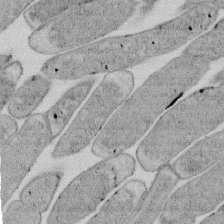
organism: E. coli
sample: Bacterial nucleoid